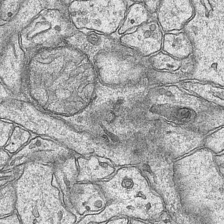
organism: Mouse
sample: CA1 Hippocampus